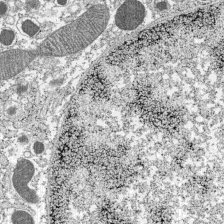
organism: C57BL Mouse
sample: Pancreatic islet